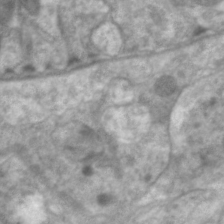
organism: C. elegans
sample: Pharynx